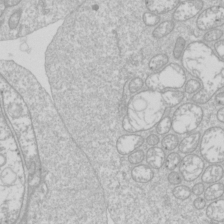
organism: Drosophila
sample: Cell division; meiosis; drosophila spermatocytes